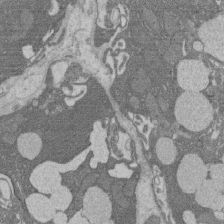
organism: Rat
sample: Salivary granule